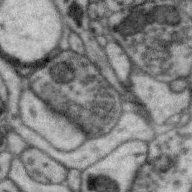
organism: Zebra finch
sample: Brain